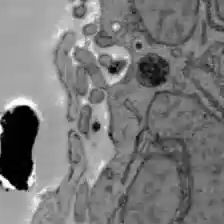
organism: C57BL Mouse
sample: Liver